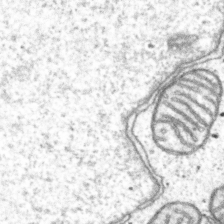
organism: Human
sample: HeLa cells